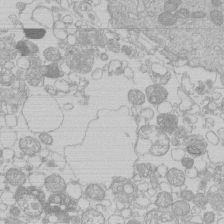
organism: Human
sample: Macrophage cells